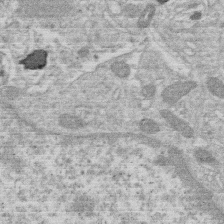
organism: Human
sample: Macrophage cells